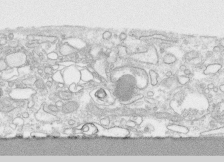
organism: Human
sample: CRL-1474